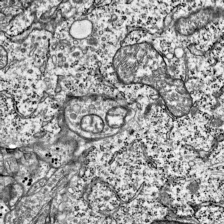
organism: Mouse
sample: Visual Cortex